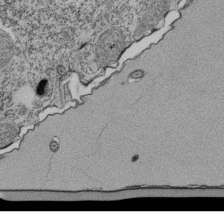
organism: Tetrahymena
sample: Cilia in tetrahymena